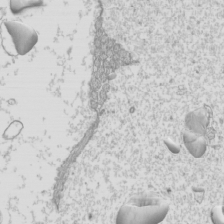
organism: Mouse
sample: Cilia; mouse epididymis